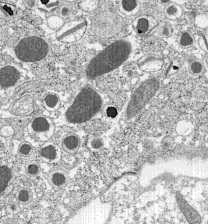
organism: C57BL Mouse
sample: Pancreatic islet